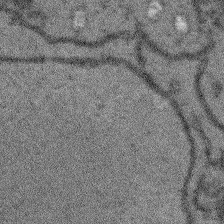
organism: Arabidopsis thaliana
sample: Root tip